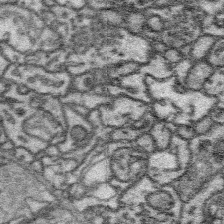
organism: Platynereis dumerilii